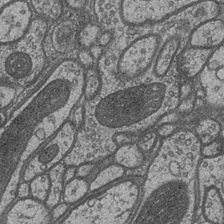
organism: Drosophila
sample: Optic medulla